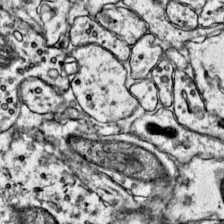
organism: Mouse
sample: Primary visual cortex